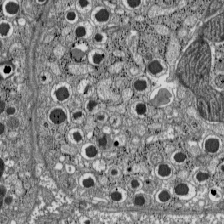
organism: C57BL Mouse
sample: Pancreatic islet